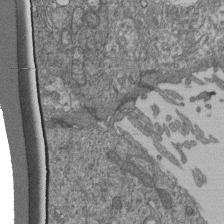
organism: Human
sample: Retinal organoid Rod and Cone cells